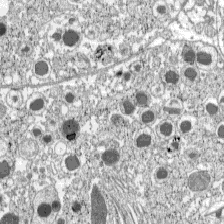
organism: C57BL Mouse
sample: Pancreatic islet